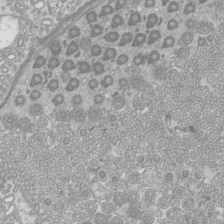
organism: Mouse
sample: Cilia; mouse epididymis